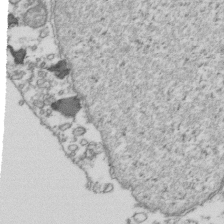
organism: Human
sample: Activated Jurkat CD4+ T cells